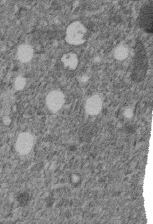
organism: C. elegans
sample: C. elegans embryo early stage